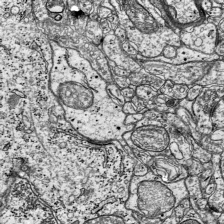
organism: Mouse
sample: Visual Cortex